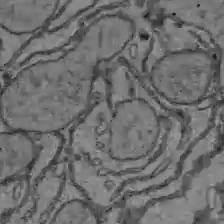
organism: C57BL Mouse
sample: Liver